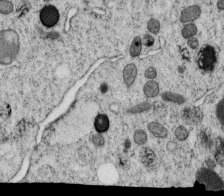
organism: C. elegans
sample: C. elegans oocyte; sperm cells